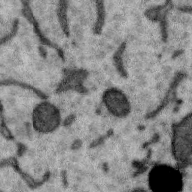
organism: Zebra finch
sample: Brain